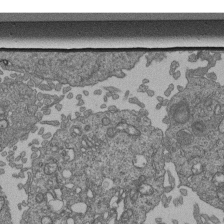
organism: Human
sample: Retinal organoid Rod and Cone cells